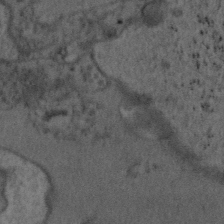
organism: Human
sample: HeLa cells